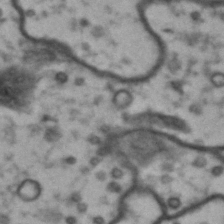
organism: Drosophila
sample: Brain